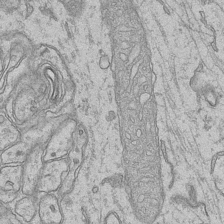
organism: Mouse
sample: CA1 Hippocampus